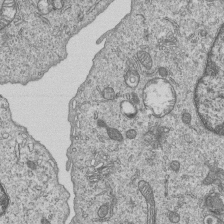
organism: Human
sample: MDA-MB-231 cells